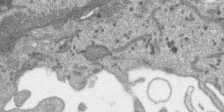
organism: Human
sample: Lung epithelial cells infected with SARS-CoV-2